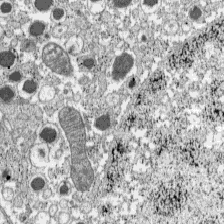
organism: C57BL Mouse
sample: Pancreatic islet